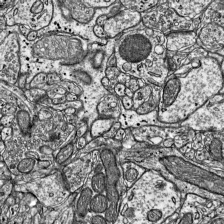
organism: Mouse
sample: Visual Cortex